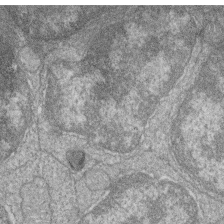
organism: Zebrafish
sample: Cilia; retinal pigment epithelium